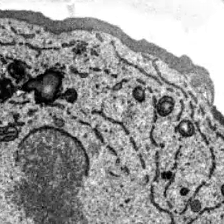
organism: Human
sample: HeLa cells